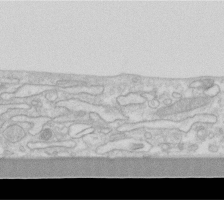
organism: Human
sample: Fibroblast cells